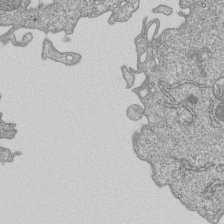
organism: Human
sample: MDA-MB-231 cells